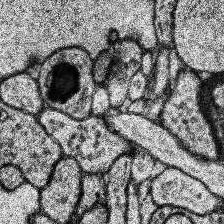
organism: Human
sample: Temporal Lobe